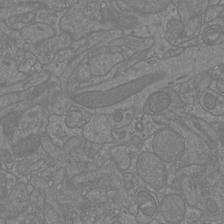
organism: Mouse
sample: Cortical neurons